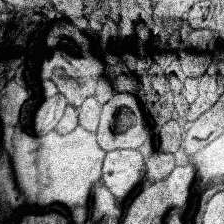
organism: Human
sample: Temporal Lobe